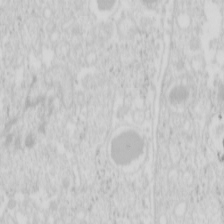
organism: Mouse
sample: Pancreas